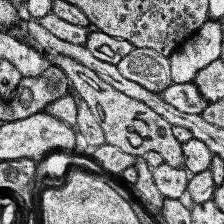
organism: Human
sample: Temporal Lobe